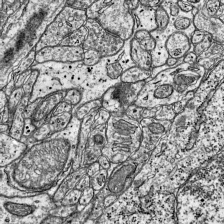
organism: Mouse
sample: Visual Cortex